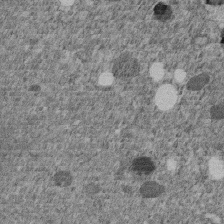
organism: C. elegans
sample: C. elegans embryo early stage